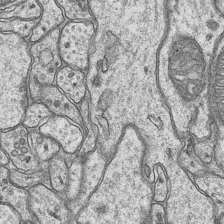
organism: Mouse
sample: CA1 Hippocampus